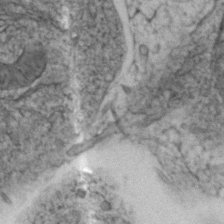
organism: Zebrafish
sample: Zebrafish embryo